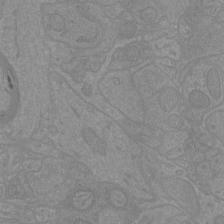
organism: Mouse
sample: Cortical neurons